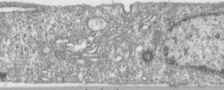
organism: Human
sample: Centriole in RPE cells